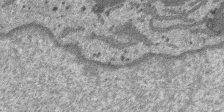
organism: Human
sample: Lung epithelial cells infected with SARS-CoV-2